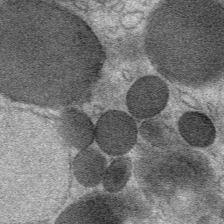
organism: Mouse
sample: Mouse Salivary gland